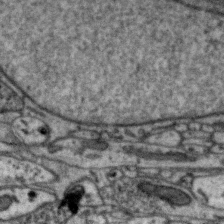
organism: Zebra finch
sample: Brain